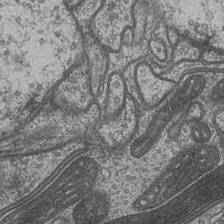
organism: Drosophila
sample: Optic medulla